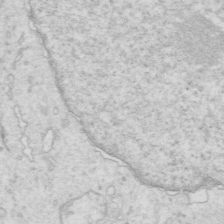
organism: Mouse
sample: Multiciliated cells